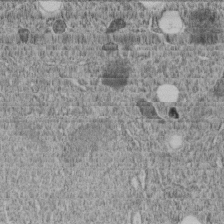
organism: C. elegans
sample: C. elegans embryo early stage